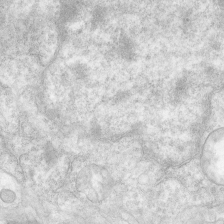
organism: Human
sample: Neocortex